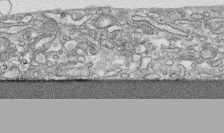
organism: Human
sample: CRL-1474